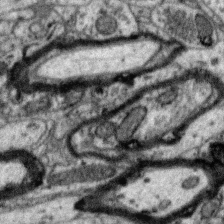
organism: Zebra finch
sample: Brain